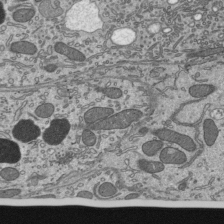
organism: Mouse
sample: Mouse epididymis efferent ductule cilia